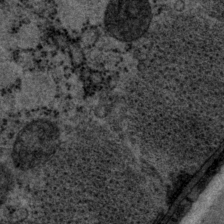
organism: P. pacificus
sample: Pharynx